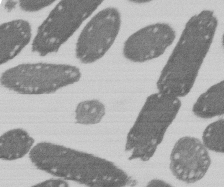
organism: E. coli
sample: Bacterial nucleoid